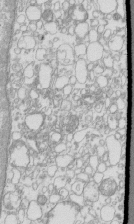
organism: Mouse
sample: Macrophages